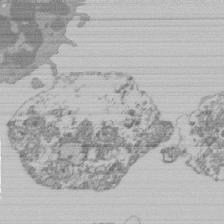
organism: Mouse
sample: Activated Pmel transgenic CD8+ T Cells